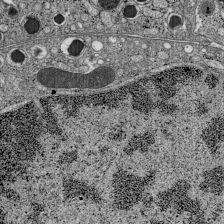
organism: C57BL Mouse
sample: Pancreatic islet